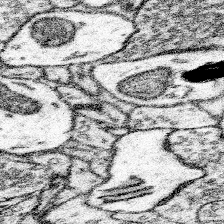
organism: Mouse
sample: Somatosensory cortex neuropil